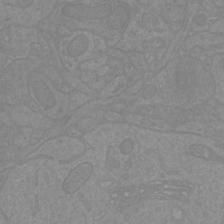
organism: Mouse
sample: Cortical neurons